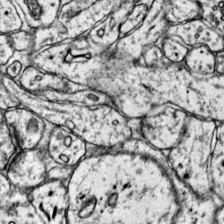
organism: Mouse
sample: Primary visual cortex